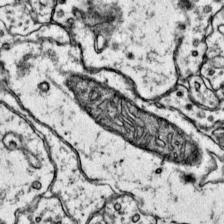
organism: Mouse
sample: Primary visual cortex